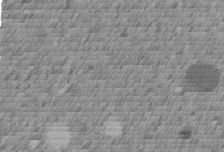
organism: C. elegans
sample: C. elegans embryo early stage